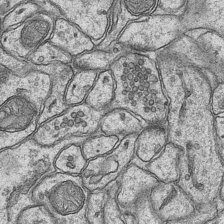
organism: Mouse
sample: CA1 Hippocampus